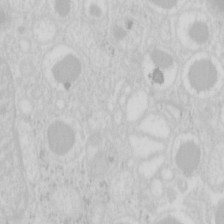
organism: Mouse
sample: Pancreas